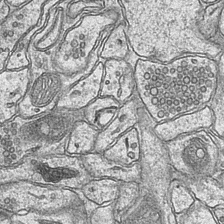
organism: Mouse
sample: CA1 Hippocampus